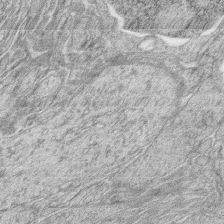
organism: Zebrafish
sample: synaptic ribbons in rod cells and cone cells